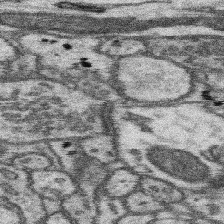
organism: Mouse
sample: Somatosensory cortex neuropil